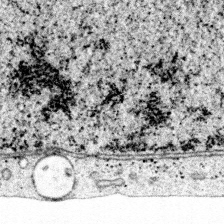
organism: Human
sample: HeLa cells